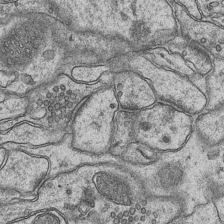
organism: Mouse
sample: CA1 Hippocampus